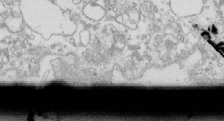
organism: Mouse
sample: Macrophages